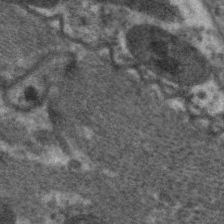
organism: C. elegans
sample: Pharynx